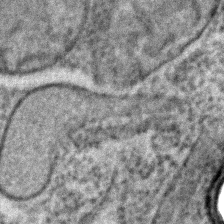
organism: C. elegans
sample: C. elegans embryo